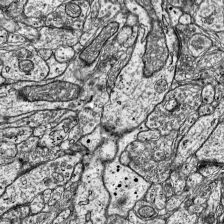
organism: Mouse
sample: Visual Cortex